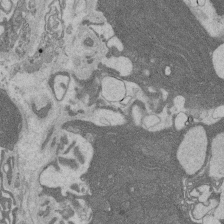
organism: Rat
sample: Salivary granule